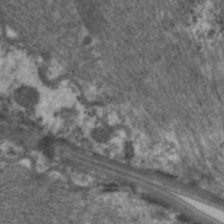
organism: C. elegans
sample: Pharynx